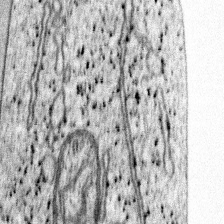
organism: Human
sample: HeLa cells